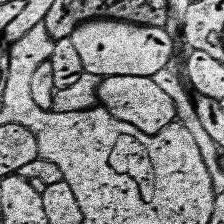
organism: Human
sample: Temporal Lobe